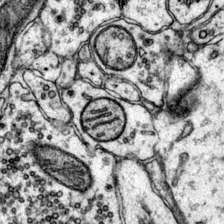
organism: Mouse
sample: Primary visual cortex